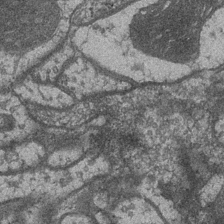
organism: Drosophila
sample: Optic medulla